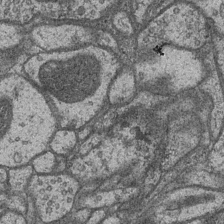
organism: Drosophila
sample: Optic medulla